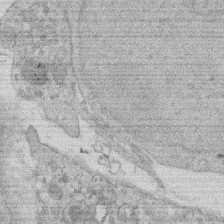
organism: Rat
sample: Salivary granule